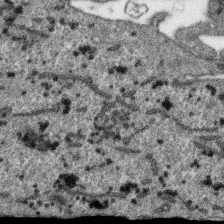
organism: Human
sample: Lung epithelial cells infected with SARS-CoV-2